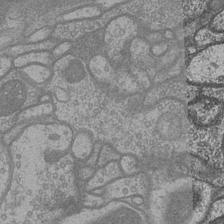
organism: Drosophila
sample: Optic medulla